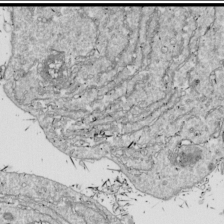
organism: Drosophila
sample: Cell division; meiosis; drosophila spermatocytes